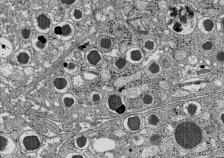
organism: C57BL Mouse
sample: Pancreatic islet